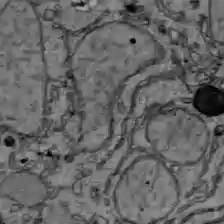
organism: C57BL Mouse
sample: Liver